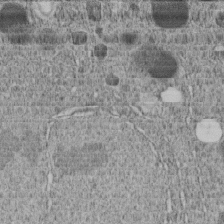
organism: C. elegans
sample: C. elegans embryo early stage